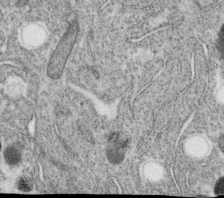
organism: C. elegans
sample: C. elegans oocyte; sperm cells